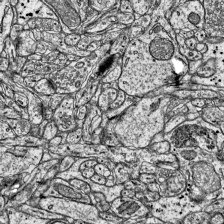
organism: Mouse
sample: Visual Cortex